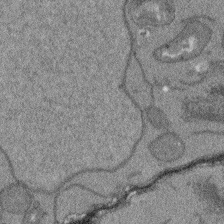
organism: Arabidopsis thaliana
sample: Root tip